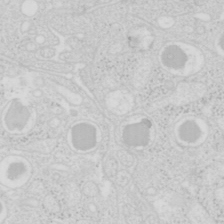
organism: Mouse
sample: Pancreas